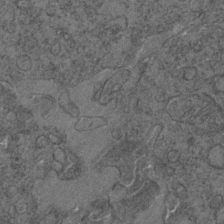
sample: Trachea